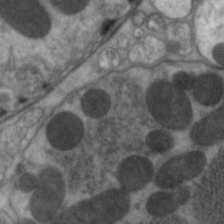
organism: C. elegans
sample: Pharynx